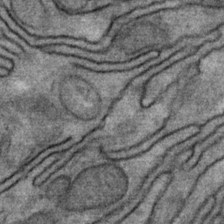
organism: Mouse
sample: Mouse Salivary gland